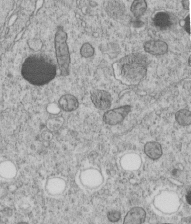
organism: C. elegans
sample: C. elegans embryo early stage